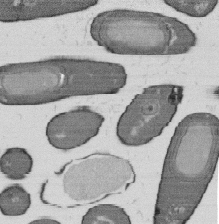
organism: B. subtilis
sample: Bacterial spore